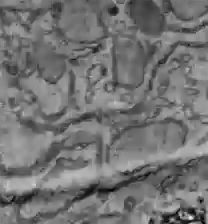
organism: C57BL Mouse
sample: Liver